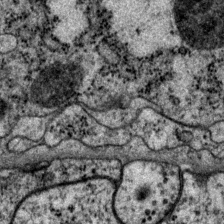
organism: P. pacificus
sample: Pharynx